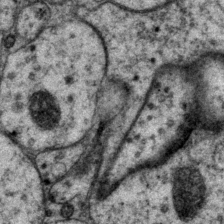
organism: P. pacificus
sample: Pharynx